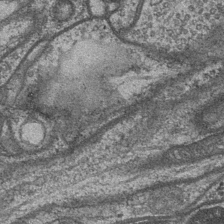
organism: Drosophila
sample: Optic medulla